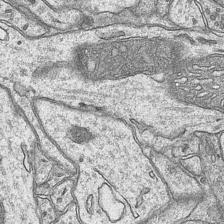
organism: Mouse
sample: CA1 Hippocampus